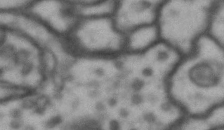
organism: Drosophila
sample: Brain